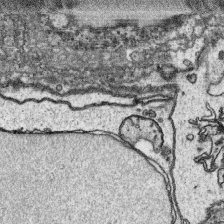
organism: Platynereis dumerilii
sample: Parapodia